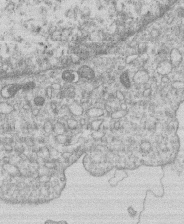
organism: Human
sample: Macrophage cells